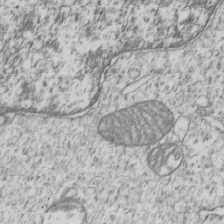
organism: Human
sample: MDA-MB-231 cells